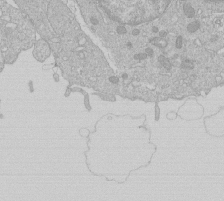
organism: Human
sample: Macrophage cells